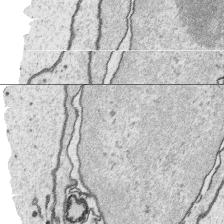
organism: Platynereis dumerilii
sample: Parapodia